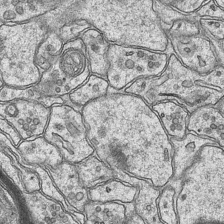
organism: Mouse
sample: CA1 Hippocampus